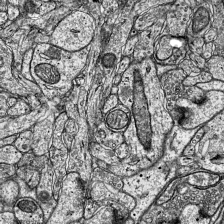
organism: Mouse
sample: Visual Cortex